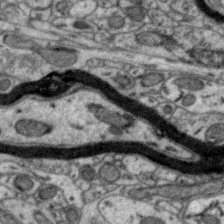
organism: Zebra finch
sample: Brain